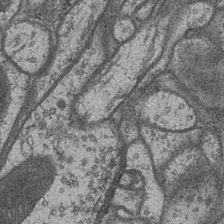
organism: Drosophila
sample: Optic medulla